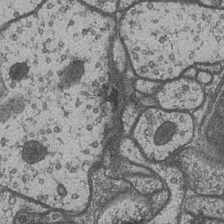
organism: Drosophila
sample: Optic medulla